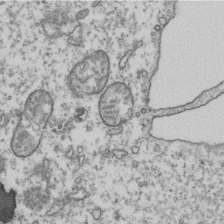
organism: Human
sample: Activated Jurkat CD4+ T cells